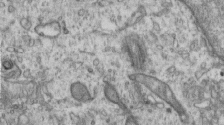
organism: Human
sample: Centriole in RPE cells